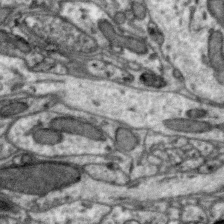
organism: Zebra finch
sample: Brain